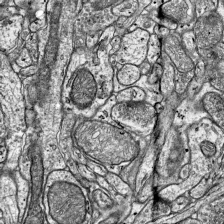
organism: Mouse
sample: Visual Cortex